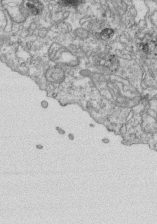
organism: Human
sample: HeLa cell HIV synapse